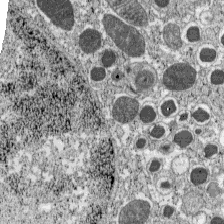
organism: C57BL Mouse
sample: Pancreatic islet